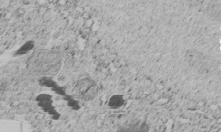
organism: C. elegans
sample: C. elegans embryo early stage